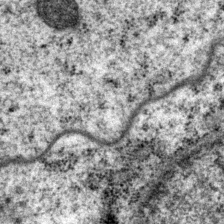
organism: P. pacificus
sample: Pharynx